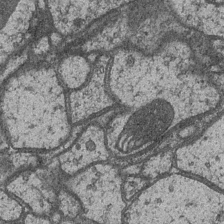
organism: Drosophila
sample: Optic medulla